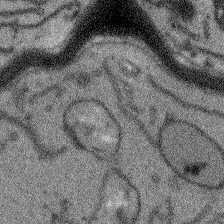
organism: Arabidopsis thaliana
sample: Root tip